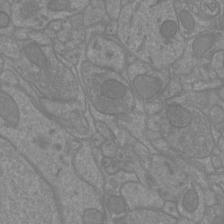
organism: Mouse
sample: Cortical neurons